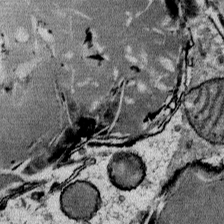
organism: Mouse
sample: Mouse Salivary gland